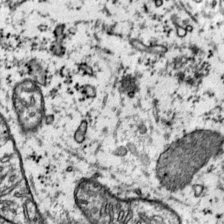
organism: Mouse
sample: Primary visual cortex